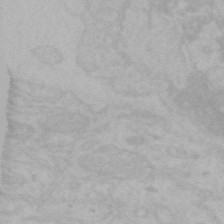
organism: Mouse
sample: Choroid plexus